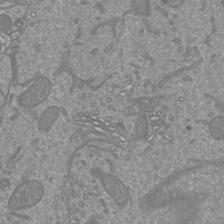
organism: Mouse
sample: Cortical neurons